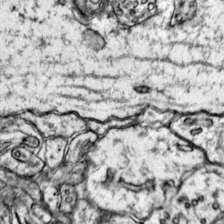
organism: Mouse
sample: Primary visual cortex